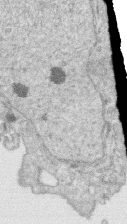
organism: Human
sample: HeLa cell HIV synapse